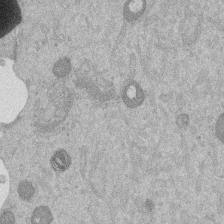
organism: Mouse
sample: Dividing mouse embryo 1 cell stage